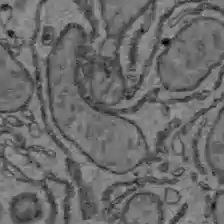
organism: C57BL Mouse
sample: Liver